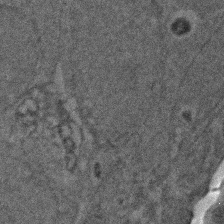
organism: Zebrafish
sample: Zebrafish embryo